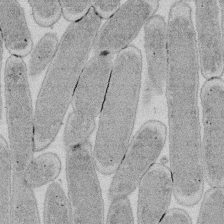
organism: E. coli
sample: Bacterial nucleoid